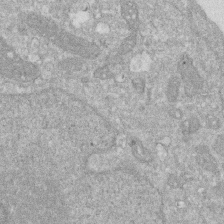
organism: Human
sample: HIV infected U937 cells